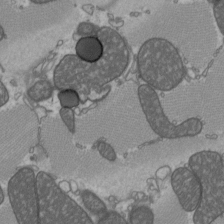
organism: C57BL Mouse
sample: Heart